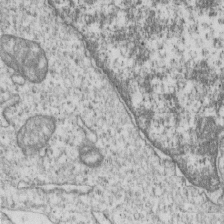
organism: Human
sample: MDA-MB-231 cells